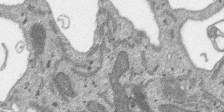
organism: Human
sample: Lung epithelial cells infected with SARS-CoV-2